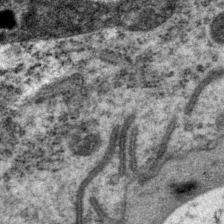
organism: P. pacificus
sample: Pharynx